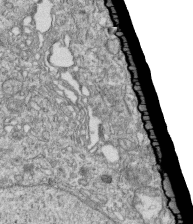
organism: Human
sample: HeLa cell HIV synapse